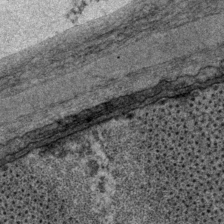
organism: P. pacificus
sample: Pharynx